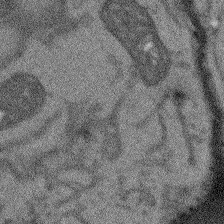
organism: Arabidopsis thaliana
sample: Root tip